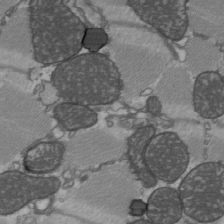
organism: C57BL Mouse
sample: Heart